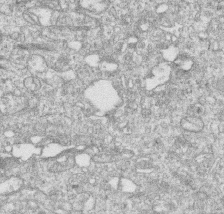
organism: Human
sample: HeLa cell HIV synapse